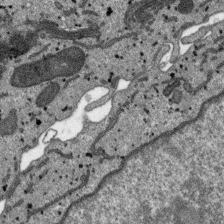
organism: Human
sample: Lung epithelial cells, uninfected (mock) control